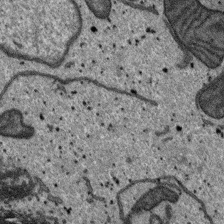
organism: Human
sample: Lung epithelial cells, uninfected (mock) control